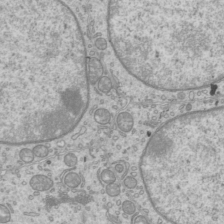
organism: Mouse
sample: Cilia; mouse epididymis